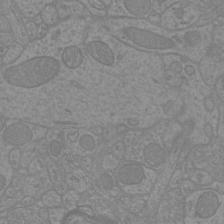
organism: Mouse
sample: Cortical neurons